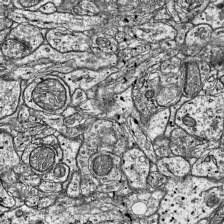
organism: Mouse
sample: Visual Cortex